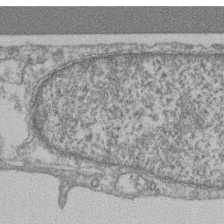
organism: Mouse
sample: T cell stromal cell synapse